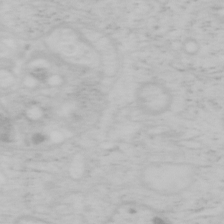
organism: Mouse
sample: OT-I killer T cells with ID8 ovarian cancer cells